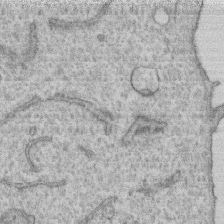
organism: Human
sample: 1205lu cells